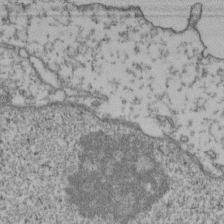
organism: Human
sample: Activated Jurkat CD4+ T cells